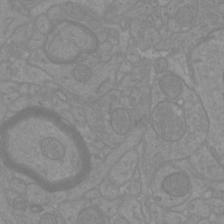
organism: Mouse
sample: Cortical neurons